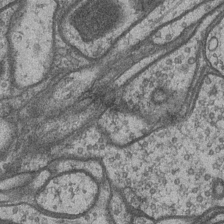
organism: Drosophila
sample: Optic medulla